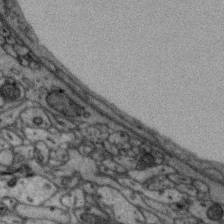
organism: Zebra finch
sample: Brain